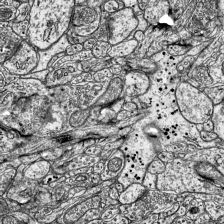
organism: Mouse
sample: Visual Cortex